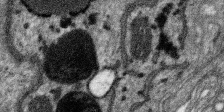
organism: Human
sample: Lung epithelial cells infected with SARS-CoV-2